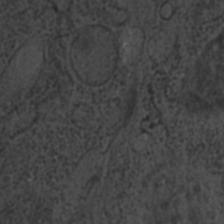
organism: C. elegans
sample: C. elegans embryo